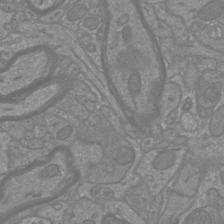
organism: Mouse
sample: Cortical neurons